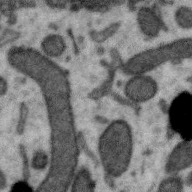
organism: Zebra finch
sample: Brain